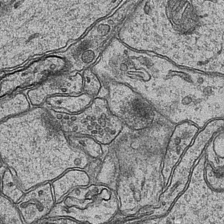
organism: Mouse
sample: CA1 Hippocampus